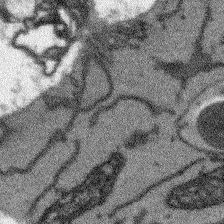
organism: Arabidopsis thaliana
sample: Root tip